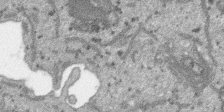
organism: Human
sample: Lung epithelial cells infected with SARS-CoV-2